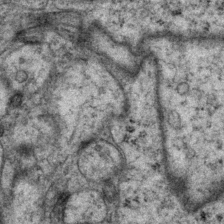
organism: P. pacificus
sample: Pharynx